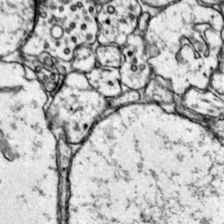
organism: Mouse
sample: Primary visual cortex